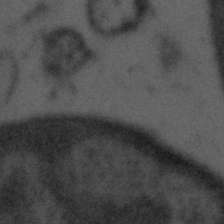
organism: Tuwongella immobilis